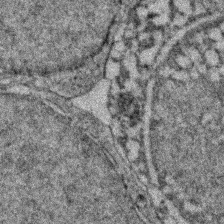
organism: Zebrafish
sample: Zebrafish embryo